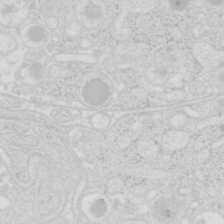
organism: Mouse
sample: Pancreas